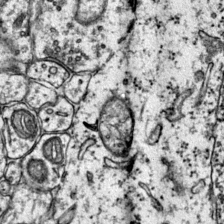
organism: Mouse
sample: Primary visual cortex